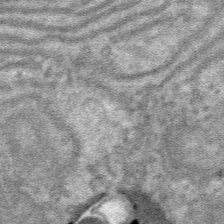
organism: Mouse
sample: Mouse hepatocytes